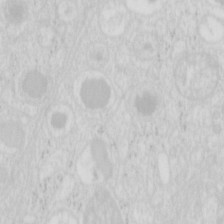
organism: Mouse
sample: Pancreas